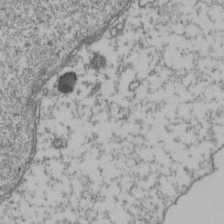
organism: Human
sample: Activated Jurkat CD4+ T cells